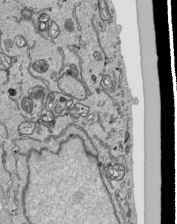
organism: Human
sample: Mitochondria in HCT116 cells